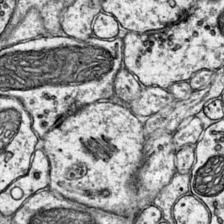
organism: Mouse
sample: Primary visual cortex